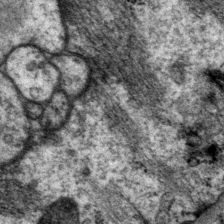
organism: P. pacificus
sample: Pharynx